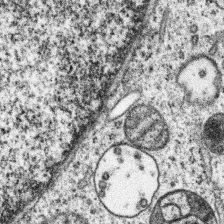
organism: Human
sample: HeLa cells